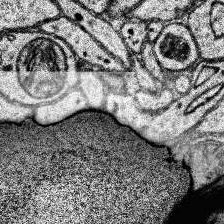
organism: Human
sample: Temporal Lobe